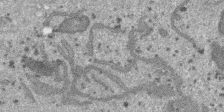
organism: Human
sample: Lung epithelial cells infected with SARS-CoV-2